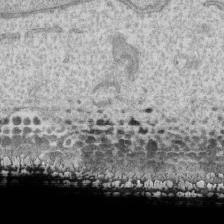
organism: Human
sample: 1205lu cells